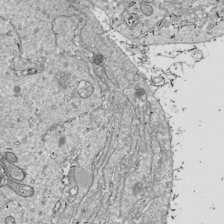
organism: Drosophila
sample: Cell division; meiosis; drosophila spermatocytes